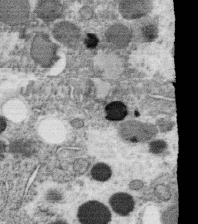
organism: C. elegans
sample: C. elegans oocyte; sperm cells